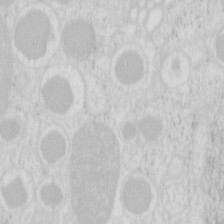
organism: Mouse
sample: Pancreas